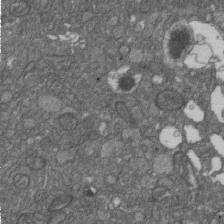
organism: Drosophila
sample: Nephrocyte